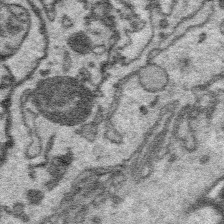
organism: Platynereis dumerilii